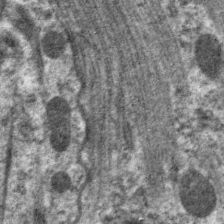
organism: C. elegans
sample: Pharynx